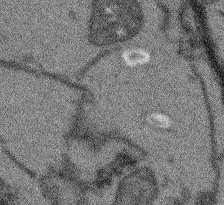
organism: Arabidopsis thaliana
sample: Root tip